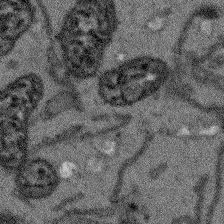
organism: Arabidopsis thaliana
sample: Root tip